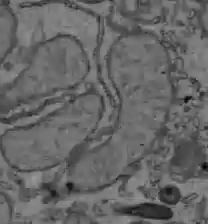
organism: C57BL Mouse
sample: Liver